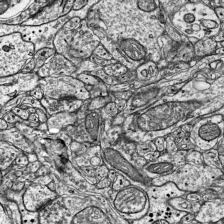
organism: Mouse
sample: Visual Cortex